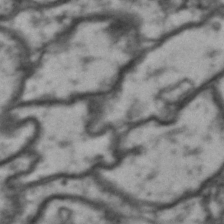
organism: Drosophila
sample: Brain